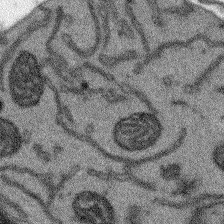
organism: Arabidopsis thaliana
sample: Root tip